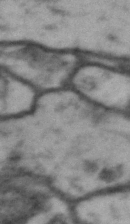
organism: Drosophila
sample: Brain